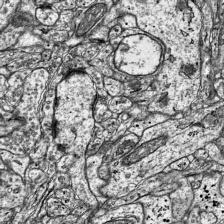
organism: Mouse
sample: Visual Cortex